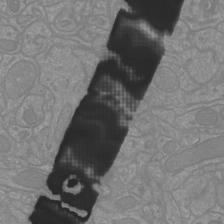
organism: Mouse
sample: Cortical neurons